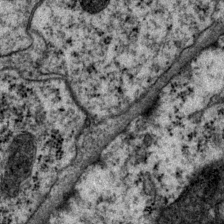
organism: P. pacificus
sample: Pharynx